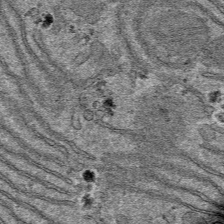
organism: Mouse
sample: Mouse hepatocytes